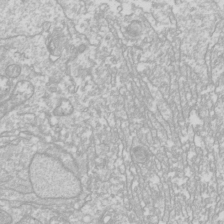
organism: Drosophila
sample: Cell division; meiosis; drosophila spermatocytes